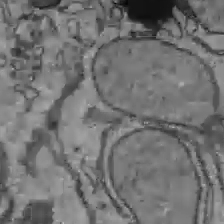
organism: C57BL Mouse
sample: Liver